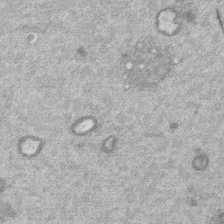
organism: Mouse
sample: Dividing mouse embryo 1 cell stage